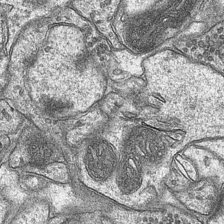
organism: Mouse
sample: CA1 Hippocampus